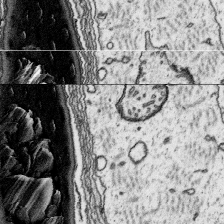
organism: Platynereis dumerilii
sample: Parapodia